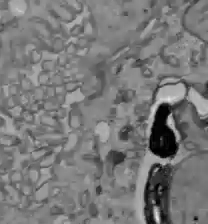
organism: C57BL Mouse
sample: Liver